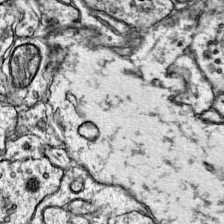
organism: Mouse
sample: Primary visual cortex